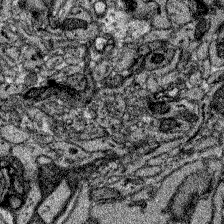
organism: Zebrafish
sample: Larval olfactory bulb